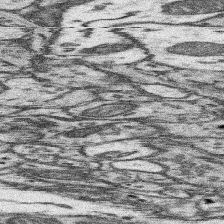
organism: Mouse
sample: Somatosensory cortex neuropil